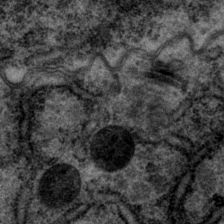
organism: P. pacificus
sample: Pharynx